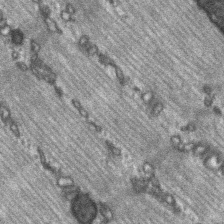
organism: C57BL Mouse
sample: Soleus